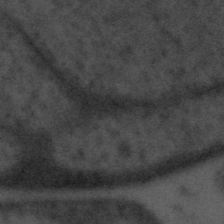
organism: Tuwongella immobilis